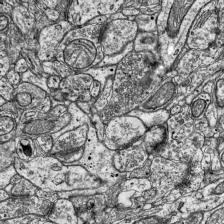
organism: Mouse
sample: Visual Cortex